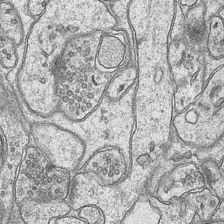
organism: Mouse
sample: CA1 Hippocampus